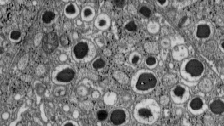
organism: C57BL Mouse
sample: Pancreatic islet